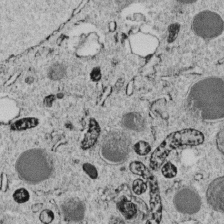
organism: C. elegans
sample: C. elegans embryo early stage